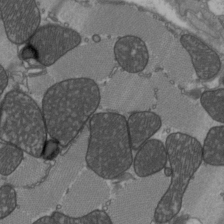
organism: C57BL Mouse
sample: Heart